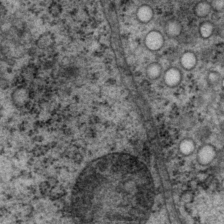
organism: P. pacificus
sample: Pharynx